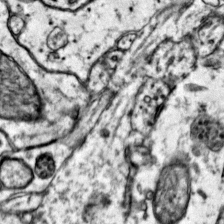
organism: Mouse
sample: Primary visual cortex